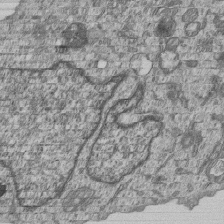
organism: Human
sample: MDA-MB-231 cells